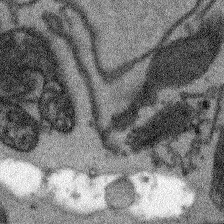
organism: Arabidopsis thaliana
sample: Root tip